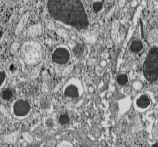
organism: C57BL Mouse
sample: Pancreatic islet